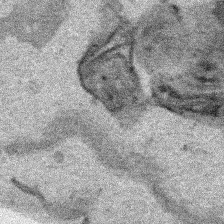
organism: Human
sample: Mitochondria in HCT116 cells